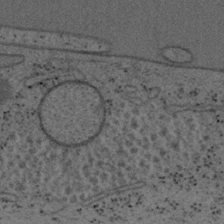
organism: Human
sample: HeLa cells